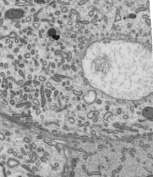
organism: Mouse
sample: Mouse epididymis efferent ductule cilia